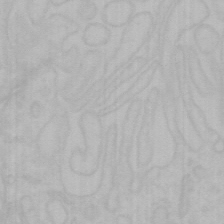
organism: Mouse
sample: Choroid plexus